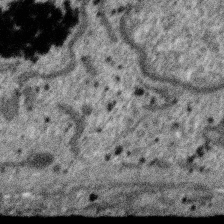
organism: Human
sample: Lung epithelial cells infected with SARS-CoV-2